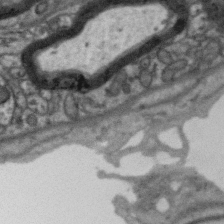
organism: Zebra finch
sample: Brain